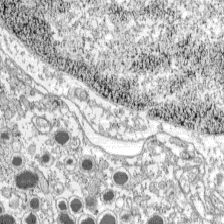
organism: C57BL Mouse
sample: Pancreatic islet